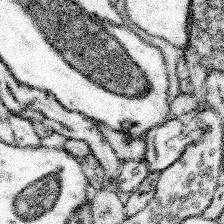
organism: Mouse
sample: Somatosensory cortex neuropil